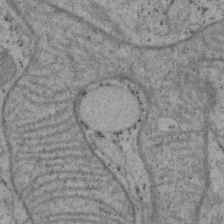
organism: Human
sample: HeLa cells